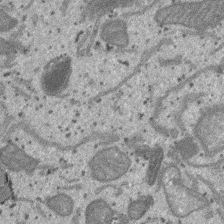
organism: Human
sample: Lung epithelial cells infected with SARS-CoV-2